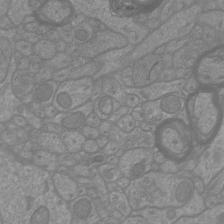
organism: Mouse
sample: Cortical neurons